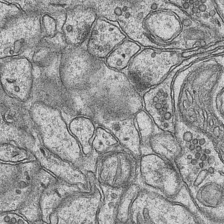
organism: Mouse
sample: CA1 Hippocampus